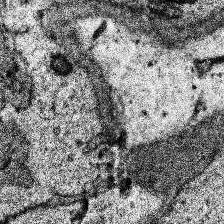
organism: Human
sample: Temporal Lobe